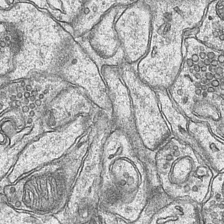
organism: Mouse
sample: CA1 Hippocampus